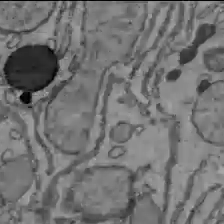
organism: C57BL Mouse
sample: Liver